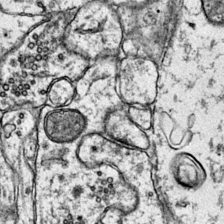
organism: Mouse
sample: Primary visual cortex